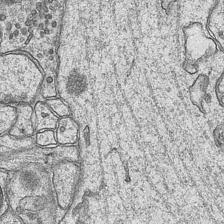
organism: Mouse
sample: CA1 Hippocampus